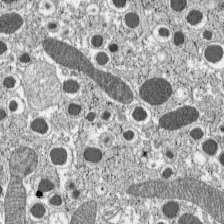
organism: C57BL Mouse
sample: Pancreatic islet